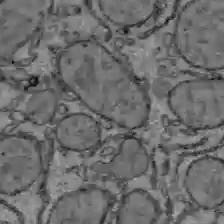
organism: C57BL Mouse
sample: Liver